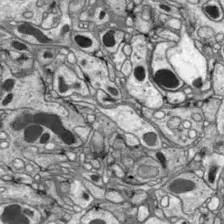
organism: Drosophila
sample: Optic lobe